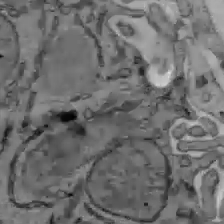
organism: C57BL Mouse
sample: Liver